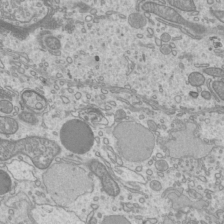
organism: Mouse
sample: Cilia; mouse epididymis